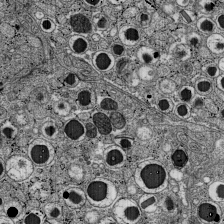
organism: C57BL Mouse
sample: Pancreatic islet